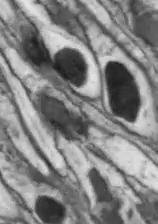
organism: Drosophila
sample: Optic lobe